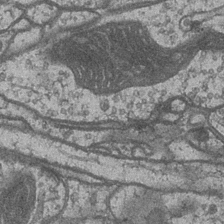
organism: Drosophila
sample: Optic medulla